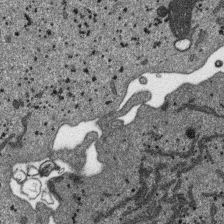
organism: Human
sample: Lung epithelial cells infected with SARS-CoV-2